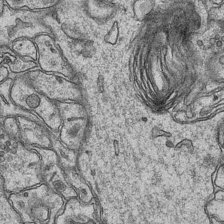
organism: Mouse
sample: CA1 Hippocampus